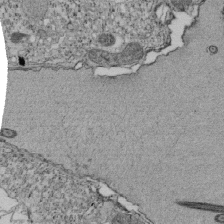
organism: Tetrahymena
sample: Cilia in tetrahymena